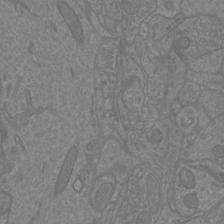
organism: Mouse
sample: Cortical neurons